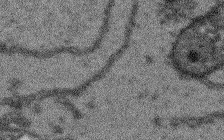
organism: Arabidopsis thaliana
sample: Root tip